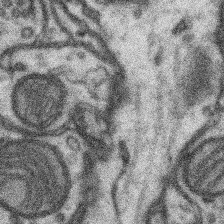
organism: Mouse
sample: Somatosensory cortex neuropil